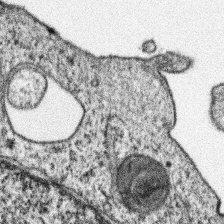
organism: Human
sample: HeLa cells